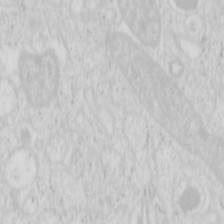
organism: Mouse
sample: Pancreas